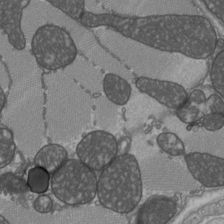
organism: C57BL Mouse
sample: Heart